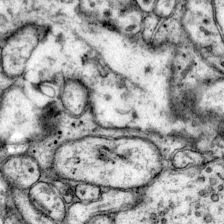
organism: Mouse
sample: Primary visual cortex